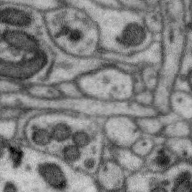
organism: Zebra finch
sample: Brain